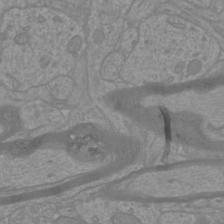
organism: Mouse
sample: Cortical neurons